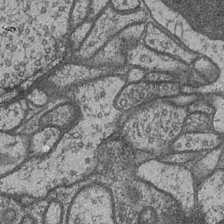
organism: Drosophila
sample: Optic medulla